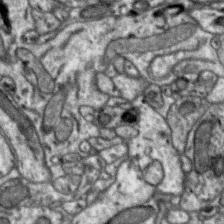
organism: Zebra finch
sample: Brain